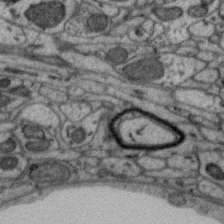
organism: Zebra finch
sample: Brain